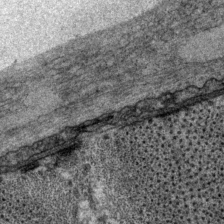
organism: P. pacificus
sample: Pharynx